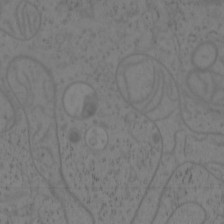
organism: Human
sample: HeLa cells